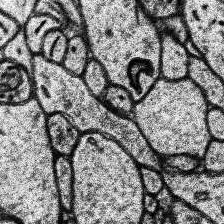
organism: Human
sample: Temporal Lobe